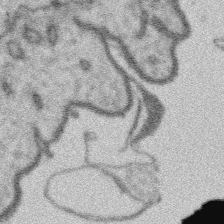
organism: Platynereis dumerilii